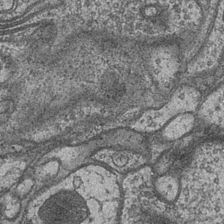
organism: Drosophila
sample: Optic medulla